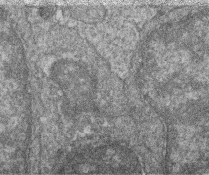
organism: Zebrafish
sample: Cilia; retinal pigment epithelium